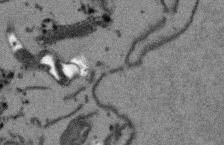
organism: Arabidopsis thaliana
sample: Root tip